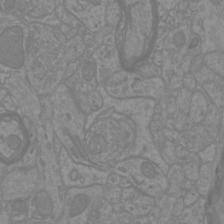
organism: Mouse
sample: Cortical neurons